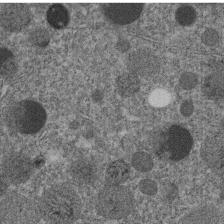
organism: C. elegans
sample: C. elegans embryo early stage